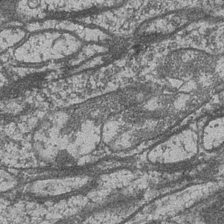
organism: Drosophila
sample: Optic medulla